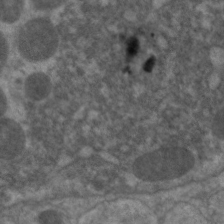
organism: C. elegans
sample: Pharynx